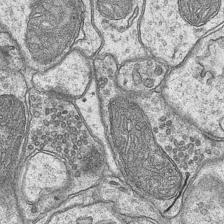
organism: Mouse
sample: CA1 Hippocampus